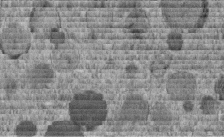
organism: C. elegans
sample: C. elegans embryo early stage